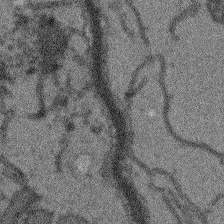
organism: Arabidopsis thaliana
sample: Root tip